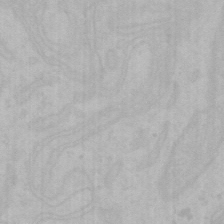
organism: Mouse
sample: Choroid plexus